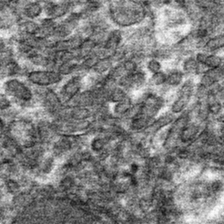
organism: Mouse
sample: Mouse hepatocytes